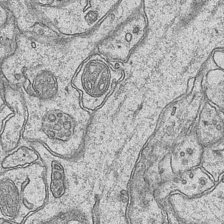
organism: Mouse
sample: CA1 Hippocampus